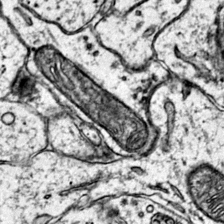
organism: Mouse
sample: Primary visual cortex